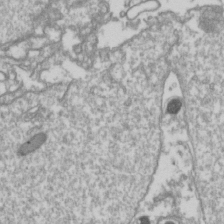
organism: Drosophila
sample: Cell division; meiosis; drosophila spermatocytes